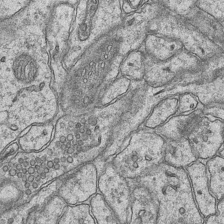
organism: Mouse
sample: CA1 Hippocampus